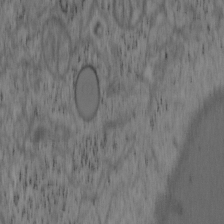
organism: Human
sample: HeLa cells